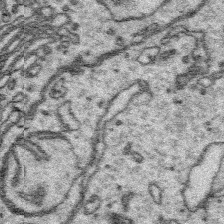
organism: Platynereis dumerilii